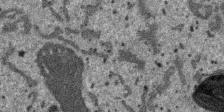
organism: Human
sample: Lung epithelial cells infected with SARS-CoV-2